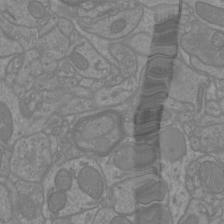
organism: Mouse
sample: Cortical neurons